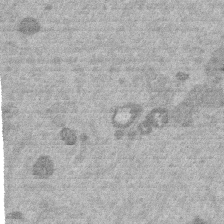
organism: Mouse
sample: Dividing mouse embryo 1 cell stage